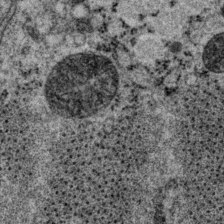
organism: P. pacificus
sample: Pharynx